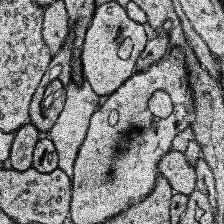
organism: Human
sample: Temporal Lobe